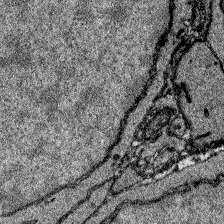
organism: Zebrafish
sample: Larval olfactory bulb